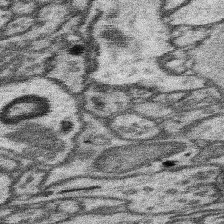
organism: Mouse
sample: Somatosensory cortex neuropil